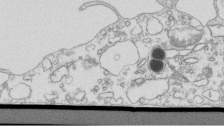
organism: Mouse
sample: Macrophages